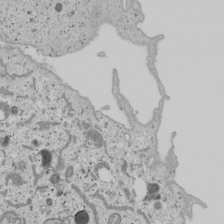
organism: Human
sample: Mitochondria in U2OS cells